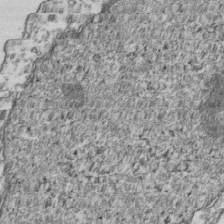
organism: Human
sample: Activated Jurkat CD4+ T cells